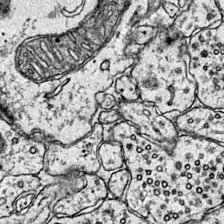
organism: Mouse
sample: Primary visual cortex